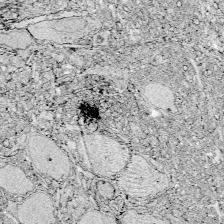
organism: Zebrafish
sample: Whole-Brain